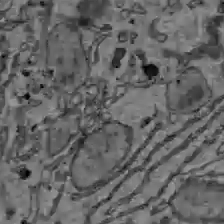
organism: C57BL Mouse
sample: Liver